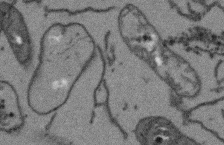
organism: Arabidopsis thaliana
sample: Root tip